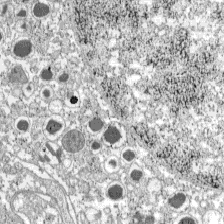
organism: C57BL Mouse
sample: Pancreatic islet